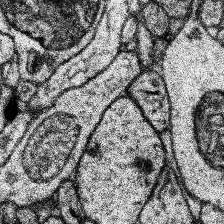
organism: Human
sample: Temporal Lobe